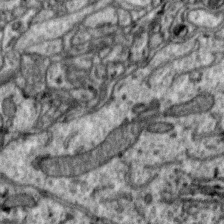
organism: Zebra finch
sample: Brain